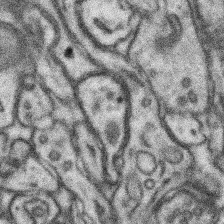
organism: Mouse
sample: Somatosensory cortex neuropil